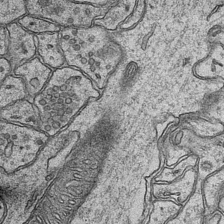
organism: Mouse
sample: CA1 Hippocampus